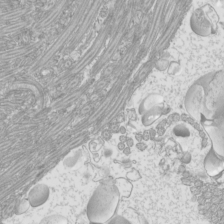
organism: Mouse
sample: Cilia; mouse epididymis